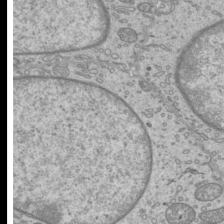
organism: Mouse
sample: Cilia; mouse epididymis